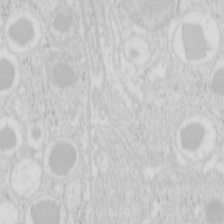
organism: Mouse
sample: Pancreas